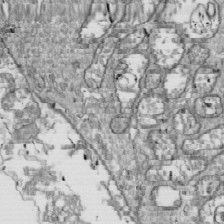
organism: Drosophila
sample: Cell division; meiosis; drosophila spermatocytes